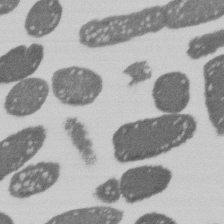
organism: E. coli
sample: Bacterial nucleoid